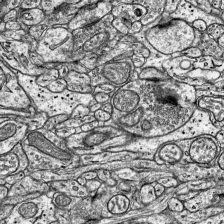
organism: Mouse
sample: Visual Cortex